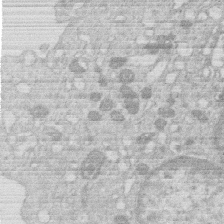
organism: Human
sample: Macrophage cells